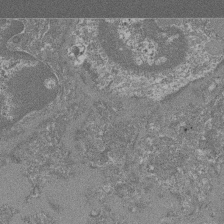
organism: Mouse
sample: Glomerulus